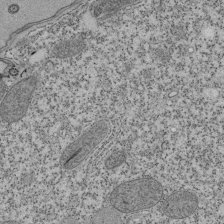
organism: Tetrahymena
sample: Cilia in tetrahymena